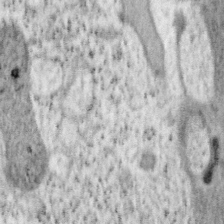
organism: Mouse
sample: OT-I killer T cells with ID8 ovarian cancer cells